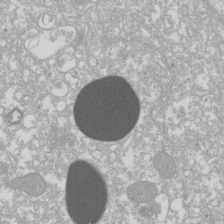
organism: Xenopus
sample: Cilia; centrioles in frog embryo cells